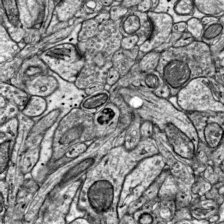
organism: Mouse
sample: Visual Cortex